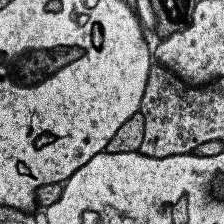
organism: Human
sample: Temporal Lobe